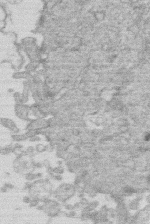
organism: Human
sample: Macrophage cells